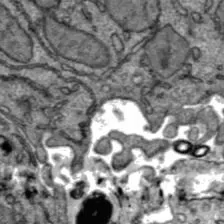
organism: C57BL Mouse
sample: Liver